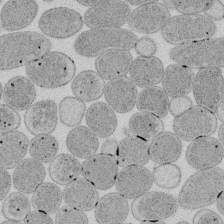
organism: E. coli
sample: Bacterial nucleoid